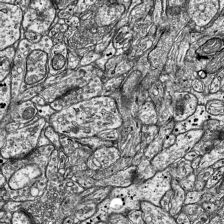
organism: Mouse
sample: Visual Cortex